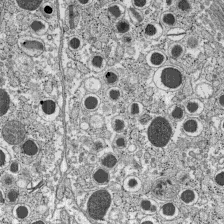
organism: C57BL Mouse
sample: Pancreatic islet